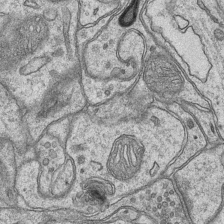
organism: Mouse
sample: CA1 Hippocampus